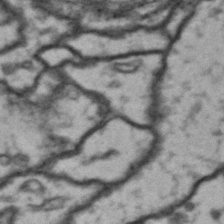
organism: Drosophila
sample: Brain